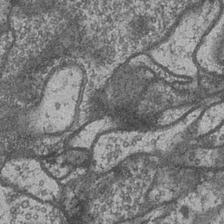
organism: Drosophila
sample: Optic medulla